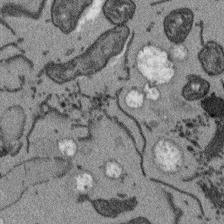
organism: Arabidopsis thaliana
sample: Root tip